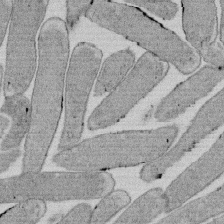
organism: E. coli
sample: Bacterial nucleoid